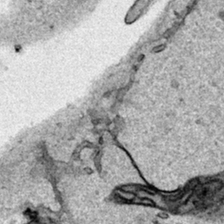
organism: Human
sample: Mitochondria in HCT116 cells